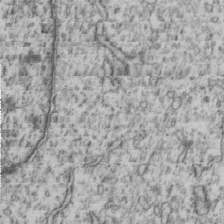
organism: Human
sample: MDA-MB-231 cells